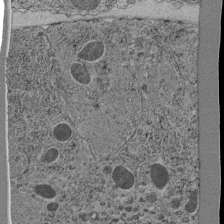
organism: C. elegans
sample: C. elegans pharynx